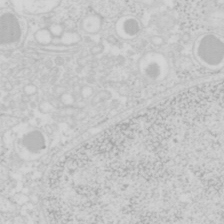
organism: Mouse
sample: Pancreas